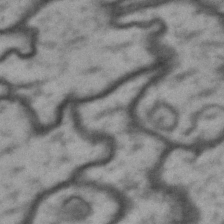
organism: Drosophila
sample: Brain